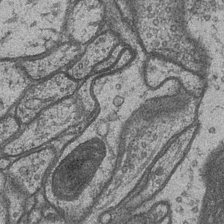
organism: Drosophila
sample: Optic medulla